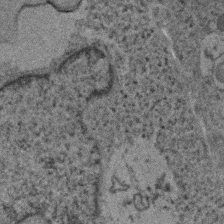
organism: Human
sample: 1205lu cells